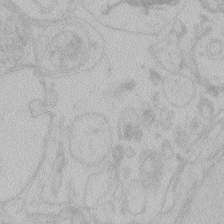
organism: Zebrafish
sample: Macrophage infected with Toxoplasma gondii